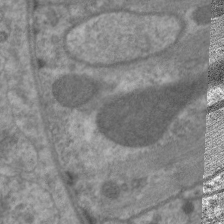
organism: C. elegans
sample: Pharynx